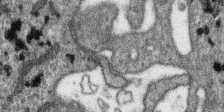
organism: Human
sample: Lung epithelial cells infected with SARS-CoV-2